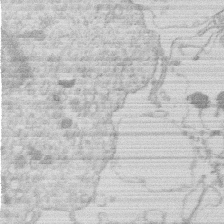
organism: Human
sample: Macrophage cells